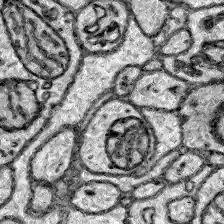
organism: Zebrafish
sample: Brain